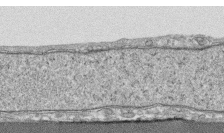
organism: Human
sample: CRL-1474